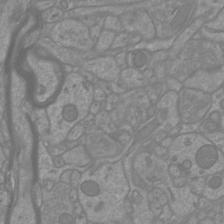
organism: Mouse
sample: Cortical neurons